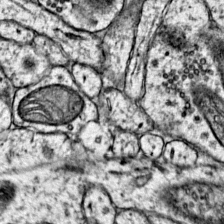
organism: Mouse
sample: Primary visual cortex